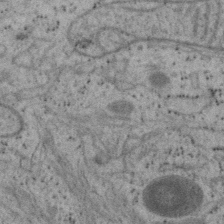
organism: Human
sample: HeLa cells